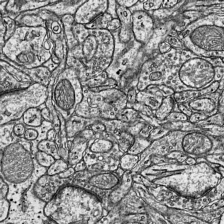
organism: Mouse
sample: Visual Cortex